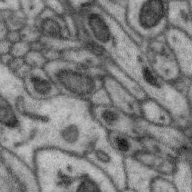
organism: Zebra finch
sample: Brain